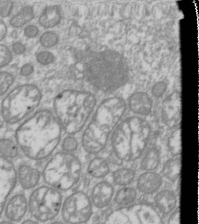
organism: Drosophila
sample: Cell division; meiosis; drosophila spermatocytes